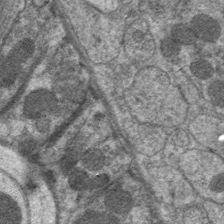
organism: C. elegans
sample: Pharynx